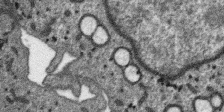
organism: Human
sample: Lung epithelial cells infected with SARS-CoV-2